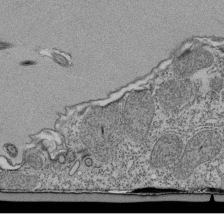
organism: Tetrahymena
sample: Cilia in tetrahymena